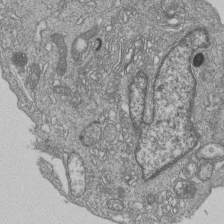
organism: Human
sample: MDA-MB-231 cells